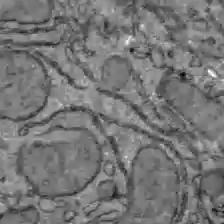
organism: C57BL Mouse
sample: Liver